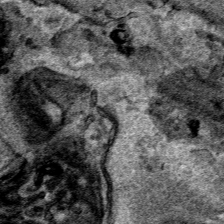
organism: Human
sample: Mitochondria in HCT116 cells